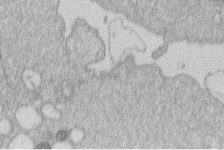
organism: Human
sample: Macrophage cells